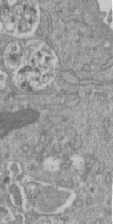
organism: Mouse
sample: ED-1 cell nuclei; centrioles